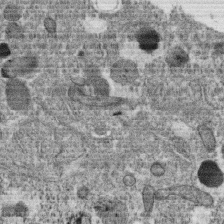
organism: C. elegans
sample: C. elegans oocyte; sperm cells